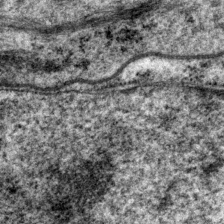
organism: P. pacificus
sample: Pharynx